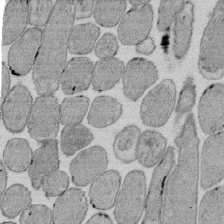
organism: E. coli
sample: Bacterial nucleoid